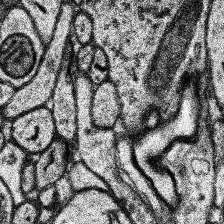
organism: Human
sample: Temporal Lobe